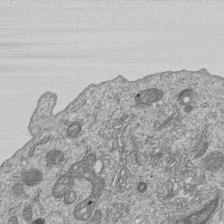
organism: Human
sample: MDA-MB-231 cells